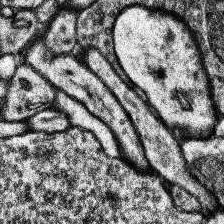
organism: Human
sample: Temporal Lobe